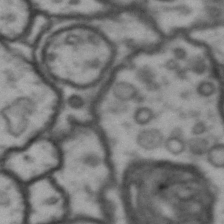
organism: Drosophila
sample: Brain